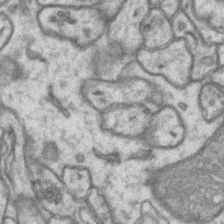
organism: Mouse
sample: CA1 Hippocampus